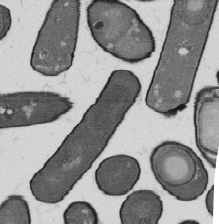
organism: B. subtilis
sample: Bacterial spore